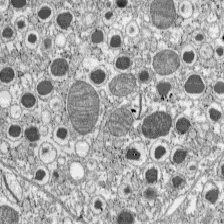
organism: C57BL Mouse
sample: Pancreatic islet